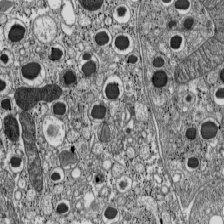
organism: C57BL Mouse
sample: Pancreatic islet